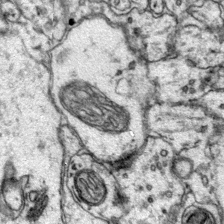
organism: Mouse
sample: Primary visual cortex